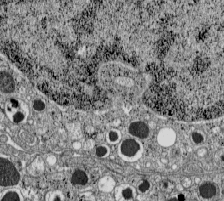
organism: C57BL Mouse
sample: Pancreatic islet